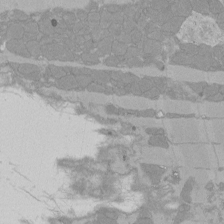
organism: Rat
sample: Left ventricle